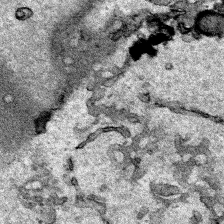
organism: Human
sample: Mitochondria in HCT116 cells